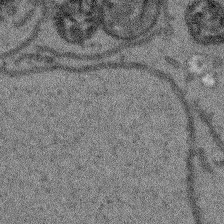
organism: Arabidopsis thaliana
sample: Root tip